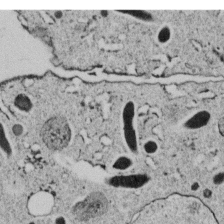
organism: C. elegans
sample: C. elegans embryo early stage